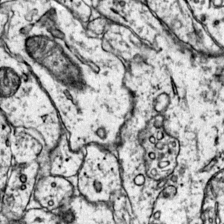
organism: Mouse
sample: Primary visual cortex